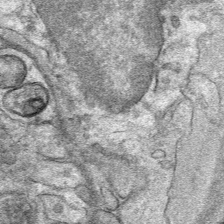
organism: Mouse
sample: Mouse Salivary gland